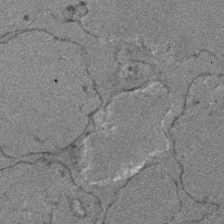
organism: Zebrafish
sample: Zebrafish embryo